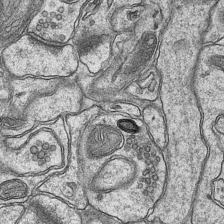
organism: Mouse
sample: CA1 Hippocampus